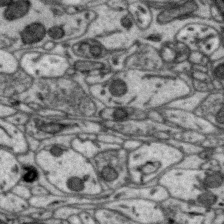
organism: Zebra finch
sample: Brain